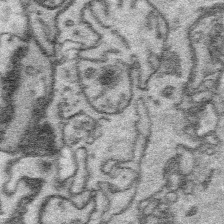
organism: Platynereis dumerilii